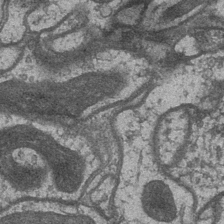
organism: Drosophila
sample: Optic medulla